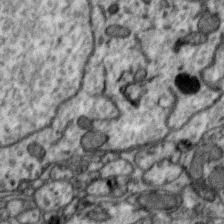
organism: Zebra finch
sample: Brain